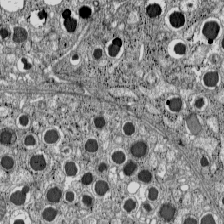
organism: C57BL Mouse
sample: Pancreatic islet